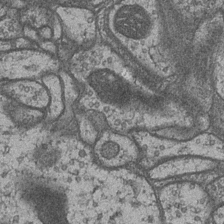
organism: Drosophila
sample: Optic medulla